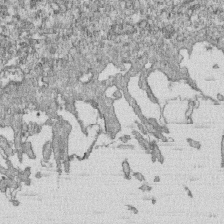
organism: Human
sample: HeLa cell HIV synapse